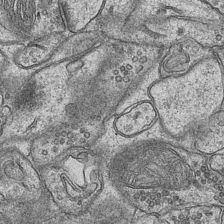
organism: Mouse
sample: CA1 Hippocampus